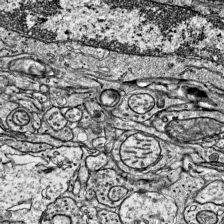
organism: Mouse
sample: Visual Cortex